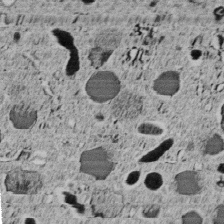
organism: C. elegans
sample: C. elegans embryo early stage